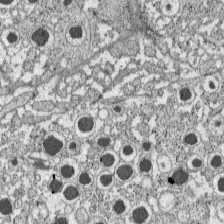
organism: C57BL Mouse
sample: Pancreatic islet